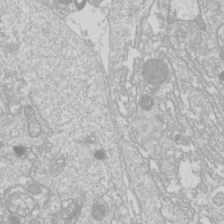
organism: Drosophila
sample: Cell division; meiosis; drosophila spermatocytes